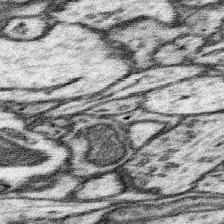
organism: Mouse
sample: Somatosensory cortex neuropil